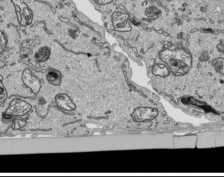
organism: Human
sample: Mitochondria in HCT116 cells